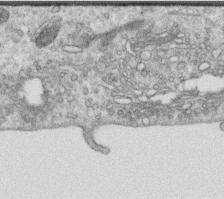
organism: Human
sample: Centriole in RPE cells